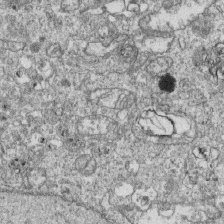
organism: Human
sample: HeLa cell HIV synapse